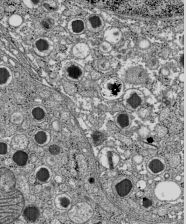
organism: C57BL Mouse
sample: Pancreatic islet